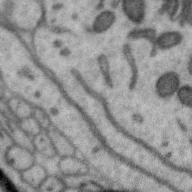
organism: Zebra finch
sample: Brain